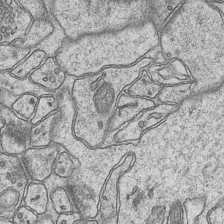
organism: Mouse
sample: CA1 Hippocampus